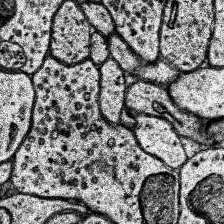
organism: Human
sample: Temporal Lobe